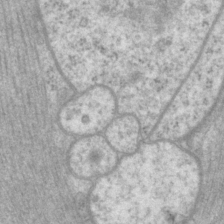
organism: P. pacificus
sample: Pharynx